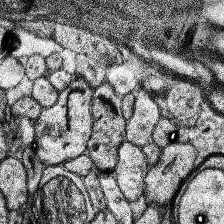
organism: Human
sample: Temporal Lobe